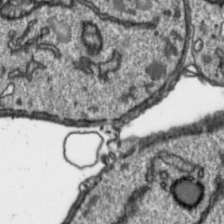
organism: Toxoplasma gondii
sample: Parasites in a vacuole inside a host cell